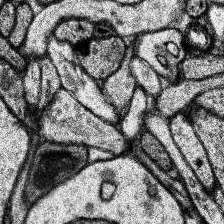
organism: Human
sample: Temporal Lobe